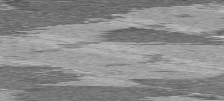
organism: C57BL Mouse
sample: Heart